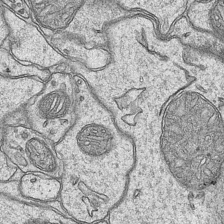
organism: Mouse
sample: CA1 Hippocampus